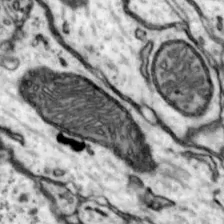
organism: Mouse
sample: Nucleus accumbens